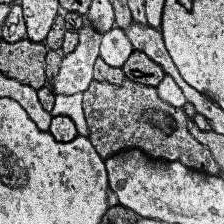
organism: Human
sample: Temporal Lobe